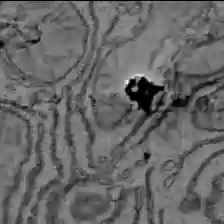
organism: C57BL Mouse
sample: Liver